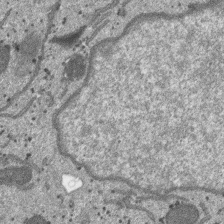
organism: Human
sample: Lung epithelial cells infected with SARS-CoV-2